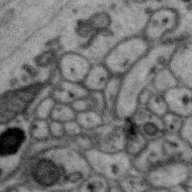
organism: Zebra finch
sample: Brain